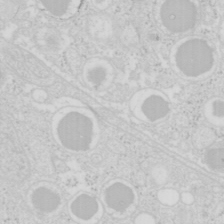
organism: Mouse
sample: Pancreas